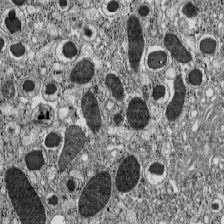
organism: C57BL Mouse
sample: Pancreatic islet